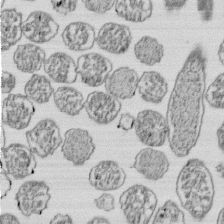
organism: E. coli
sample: Bacterial nucleoid